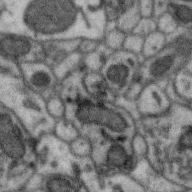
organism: Zebra finch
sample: Brain